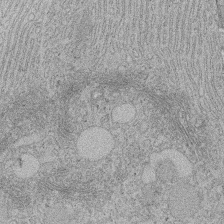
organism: Rat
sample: Salivary granule